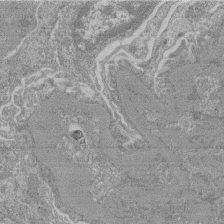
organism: Mouse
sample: Glomerulus